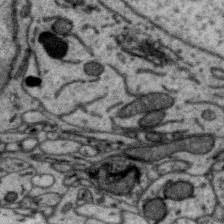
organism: Zebra finch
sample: Brain